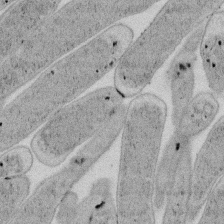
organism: E. coli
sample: Bacterial nucleoid